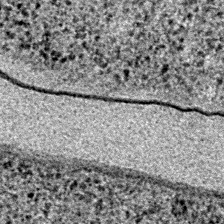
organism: E. coli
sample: E. Coli Bacteria